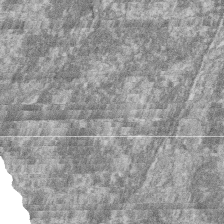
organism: Zebrafish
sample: Cilia; retinal pigment epithelium